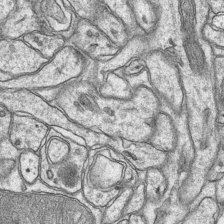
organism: Mouse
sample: CA1 Hippocampus